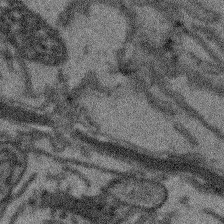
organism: Arabidopsis thaliana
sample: Root tip